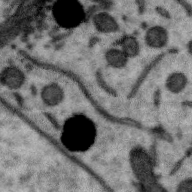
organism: Zebra finch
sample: Brain